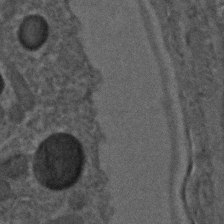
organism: C. elegans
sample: C. elegans embryo